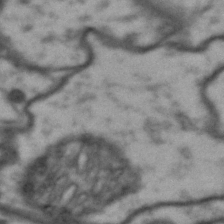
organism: Drosophila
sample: Brain